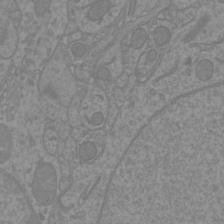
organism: Mouse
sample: Cortical neurons